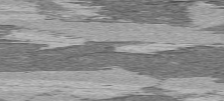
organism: C57BL Mouse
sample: Heart